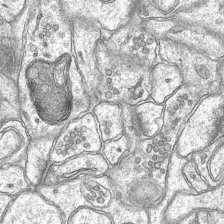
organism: Mouse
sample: CA1 Hippocampus